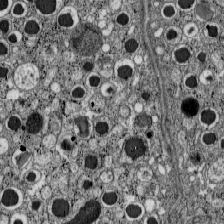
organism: C57BL Mouse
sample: Pancreatic islet